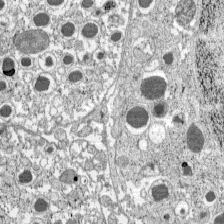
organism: C57BL Mouse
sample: Pancreatic islet